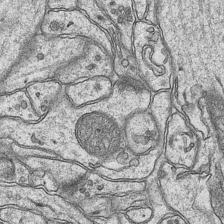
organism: Mouse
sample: CA1 Hippocampus